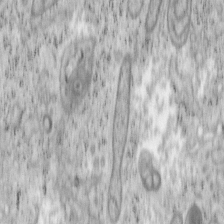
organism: Human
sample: HeLa cells